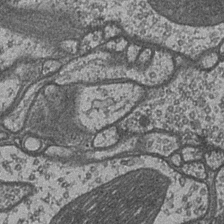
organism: Drosophila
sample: Optic medulla